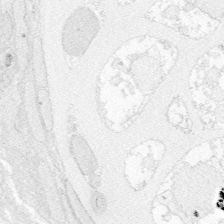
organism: Zebrafish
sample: Whole-Brain